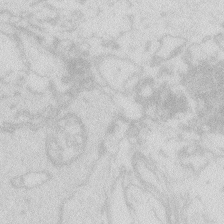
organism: Zebrafish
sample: Macrophage